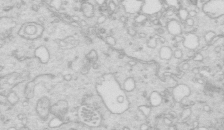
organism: Mouse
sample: Multiciliated cells